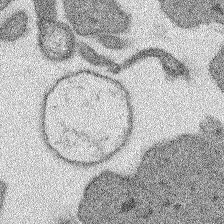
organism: Human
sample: HeLa cells